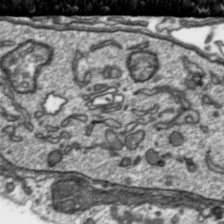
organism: Toxoplasma gondii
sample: Parasites in a vacuole inside a host cell